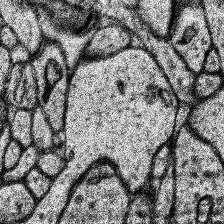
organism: Human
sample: Temporal Lobe